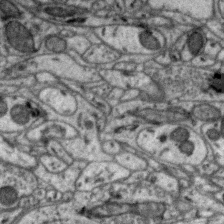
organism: Zebra finch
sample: Brain